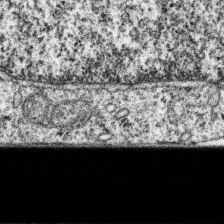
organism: Human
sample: HeLa cells